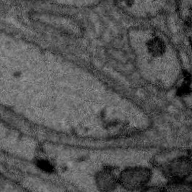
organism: Zebra finch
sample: Brain